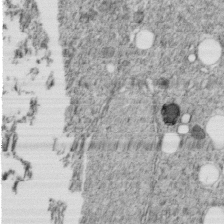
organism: C. elegans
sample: C. elegans embryo early stage